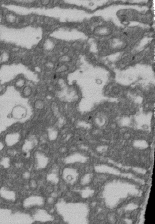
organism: Drosophila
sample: Nephrocyte